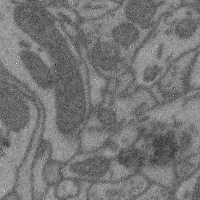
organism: Mouse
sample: Cerebral cortex